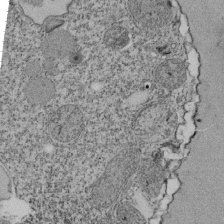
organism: Tetrahymena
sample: Cilia in tetrahymena